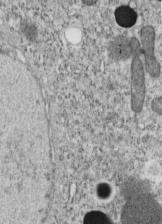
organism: C. elegans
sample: C. elegans embryo early stage